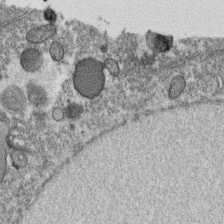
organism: C. elegans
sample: C. elegans oocyte; sperm cells